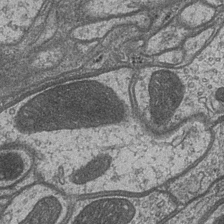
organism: Drosophila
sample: Optic medulla